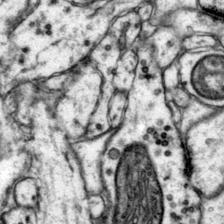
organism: Mouse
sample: Primary visual cortex